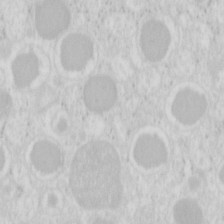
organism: Mouse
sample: Pancreas